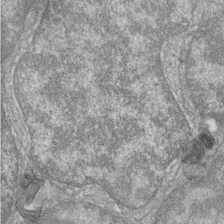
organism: Zebrafish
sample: Cilia; retinal pigment epithelium